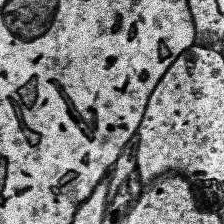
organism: Human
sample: Temporal Lobe